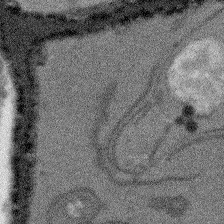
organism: Arabidopsis thaliana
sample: Root tip